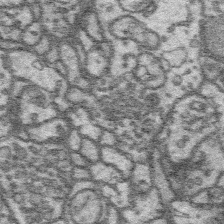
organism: Platynereis dumerilii